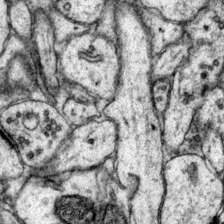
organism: Mouse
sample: Primary visual cortex